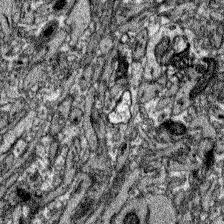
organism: Zebrafish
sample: Larval olfactory bulb